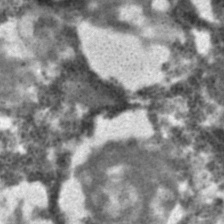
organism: C. elegans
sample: C. elegans embryo